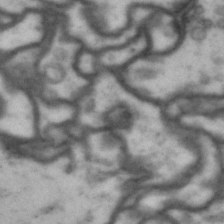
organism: Drosophila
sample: Brain